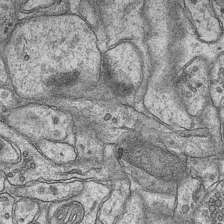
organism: Mouse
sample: CA1 Hippocampus